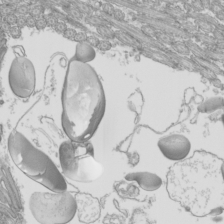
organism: Mouse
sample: Cilia; mouse epididymis